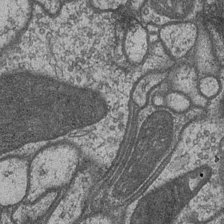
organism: Drosophila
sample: Optic medulla